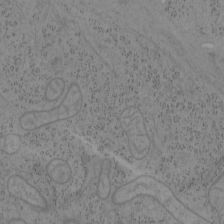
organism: Mouse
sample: OT-I killer T cells with ID8 ovarian cancer cells